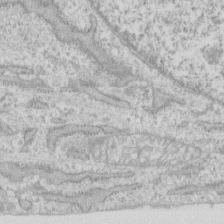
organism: Human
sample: Fibroblast cells